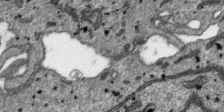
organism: Human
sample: Lung epithelial cells, uninfected (mock) control